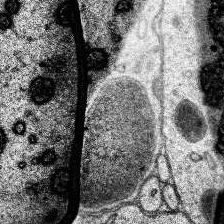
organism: Human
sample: Temporal Lobe